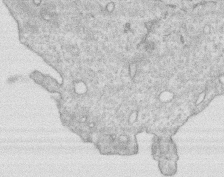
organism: Human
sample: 1205lu cells